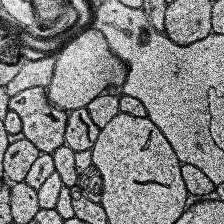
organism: Human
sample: Temporal Lobe